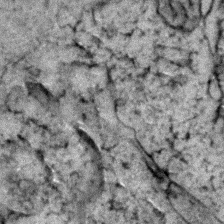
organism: Zebrafish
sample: Zebrafish embryo